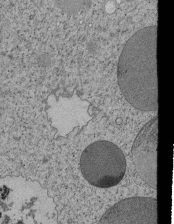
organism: Tetrahymena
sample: Cilia in tetrahymena